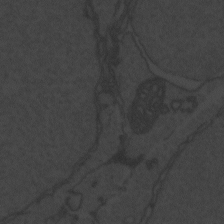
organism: Zebrafish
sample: Macrophage infected with Toxoplasma gondii